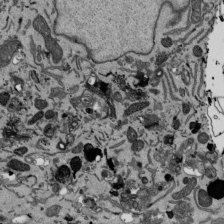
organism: Mouse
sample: ED-1 cell nuclei; centrioles